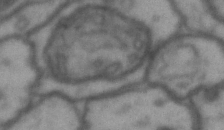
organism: Drosophila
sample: Brain